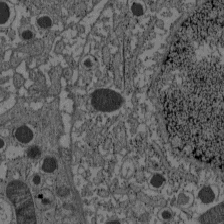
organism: C57BL Mouse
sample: Pancreatic islet